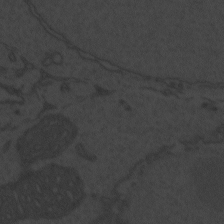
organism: Zebrafish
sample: Macrophage infected with Toxoplasma gondii